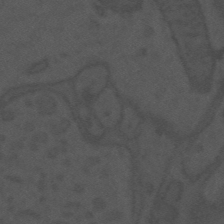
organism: Mouse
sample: Suprachiasmatic nucleus